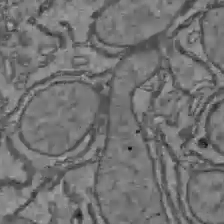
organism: C57BL Mouse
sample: Liver